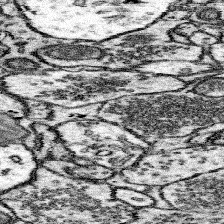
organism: Mouse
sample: Somatosensory cortex neuropil